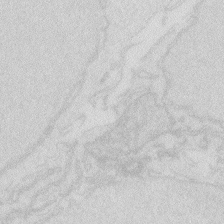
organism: Zebrafish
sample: Macrophage